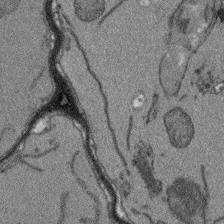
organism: Arabidopsis thaliana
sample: Root tip